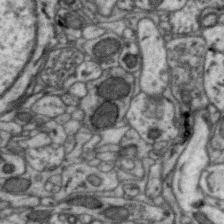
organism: Zebra finch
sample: Brain